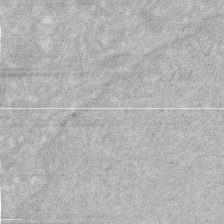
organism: Human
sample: HIV infected U937 cells